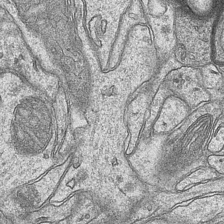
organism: Mouse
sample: CA1 Hippocampus